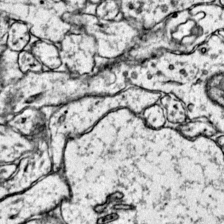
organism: Mouse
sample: Primary visual cortex